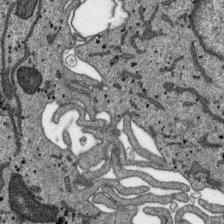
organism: Human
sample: Lung epithelial cells, uninfected (mock) control